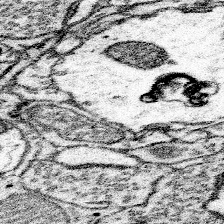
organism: Mouse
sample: Somatosensory cortex neuropil